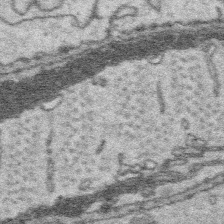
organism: Platynereis dumerilii